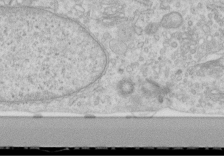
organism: Human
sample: Centriole in RPE cells